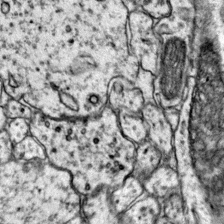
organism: Mouse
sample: Primary visual cortex